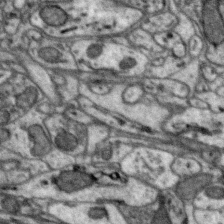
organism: Zebra finch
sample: Brain